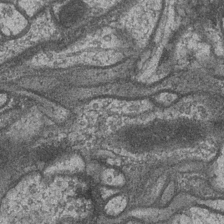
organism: Drosophila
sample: Optic medulla